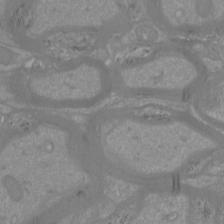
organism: Mouse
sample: Cortical neurons